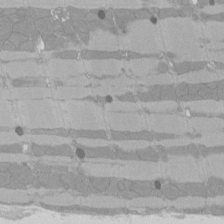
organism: Rat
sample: Left ventricle